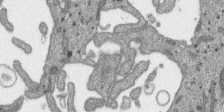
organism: Human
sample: Lung epithelial cells infected with SARS-CoV-2